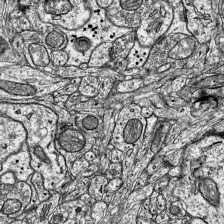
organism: Mouse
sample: Visual Cortex